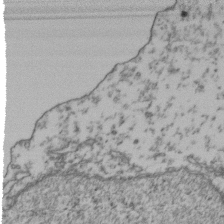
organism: Human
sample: Activated Jurkat CD4+ T cells